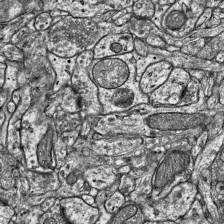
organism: Mouse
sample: Visual Cortex